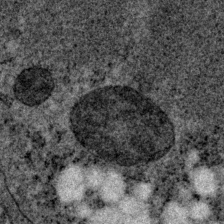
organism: P. pacificus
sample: Pharynx